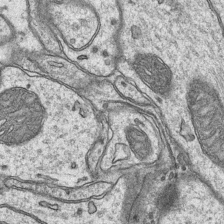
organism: Mouse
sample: CA1 Hippocampus